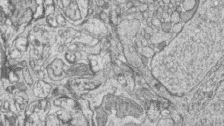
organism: Zebrafish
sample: synaptic ribbons in rod cells and cone cells